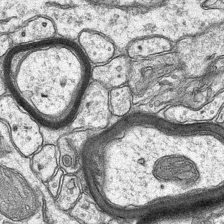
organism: Mouse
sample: CA1 Hippocampus